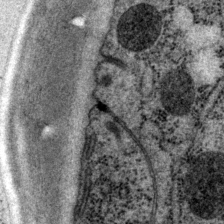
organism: P. pacificus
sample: Pharynx